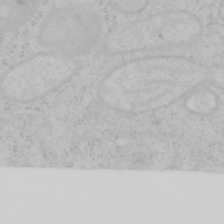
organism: Mouse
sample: OT-I killer T cells with ID8 ovarian cancer cells